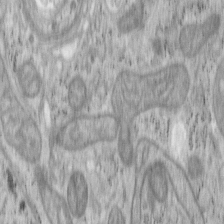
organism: Human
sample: HeLa cells